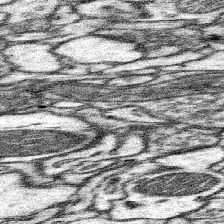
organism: Mouse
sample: Somatosensory cortex neuropil